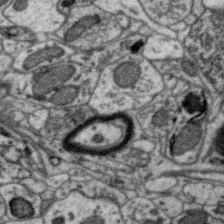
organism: Zebra finch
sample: Brain